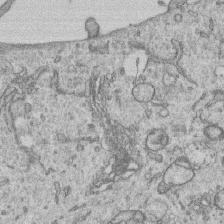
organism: Human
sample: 1205lu cells